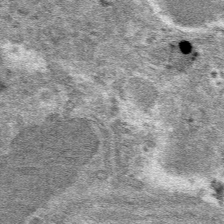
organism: Mouse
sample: Mouse hepatocytes